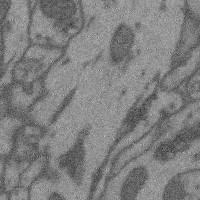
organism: Mouse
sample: Cerebral cortex